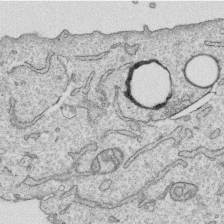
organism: Human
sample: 1205lu cells